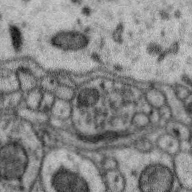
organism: Zebra finch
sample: Brain